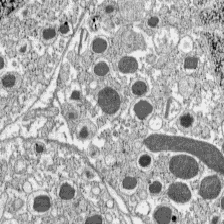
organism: C57BL Mouse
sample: Pancreatic islet